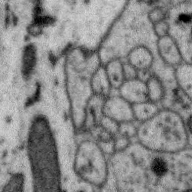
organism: Zebra finch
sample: Brain